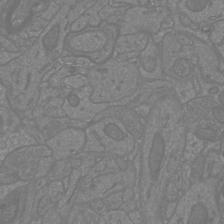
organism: Mouse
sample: Cortical neurons